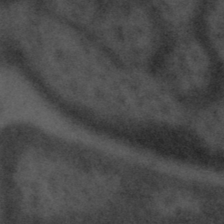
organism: Tuwongella immobilis